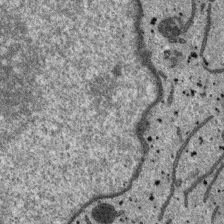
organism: Human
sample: Lung epithelial cells, uninfected (mock) control